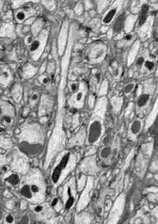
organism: Drosophila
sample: Optic lobe